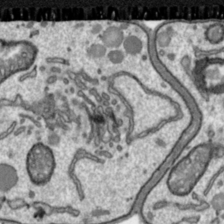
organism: Toxoplasma gondii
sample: Parasites in a vacuole inside a host cell